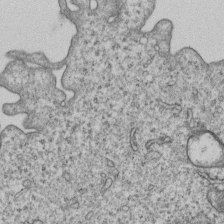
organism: Human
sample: MDA-MB-231 cells